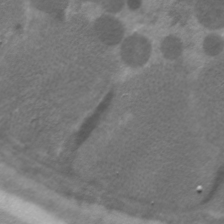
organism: C. elegans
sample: Pharynx